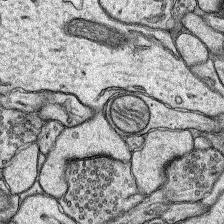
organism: Rat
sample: Hippocampus